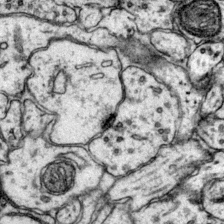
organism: Mouse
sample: Primary visual cortex